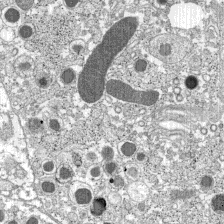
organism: C57BL Mouse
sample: Pancreatic islet